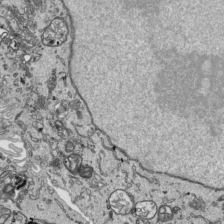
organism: Human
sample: Mitochondria in HCT116 cells